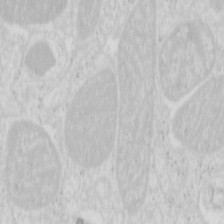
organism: Mouse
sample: Pancreas